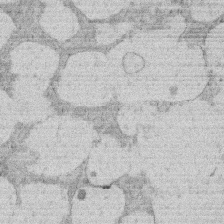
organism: Rat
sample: Salivary granule